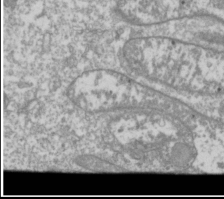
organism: Drosophila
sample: Cell division; meiosis; drosophila spermatocytes